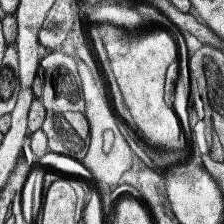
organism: Human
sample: Temporal Lobe